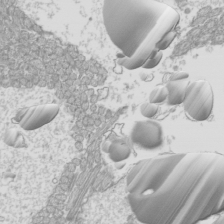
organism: Mouse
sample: Cilia; mouse epididymis